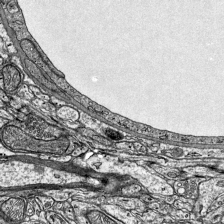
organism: Mouse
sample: Visual Cortex